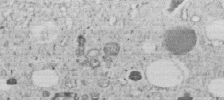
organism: C. elegans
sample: C. elegans embryo early stage